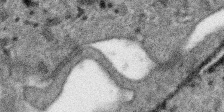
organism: Human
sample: Lung epithelial cells infected with SARS-CoV-2